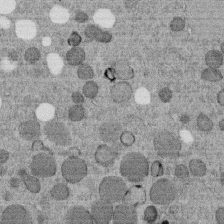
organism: C. elegans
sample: C. elegans embryo early stage